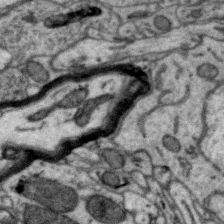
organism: Zebra finch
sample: Brain